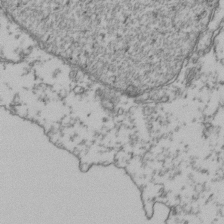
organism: Human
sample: Activated Jurkat CD4+ T cells